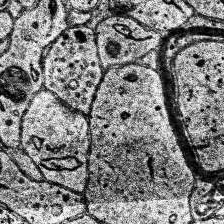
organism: Human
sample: Temporal Lobe